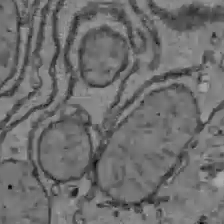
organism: C57BL Mouse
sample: Liver